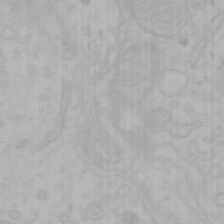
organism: Mouse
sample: Choroid plexus